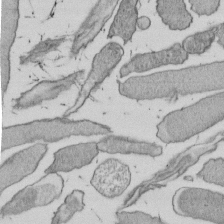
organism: E. coli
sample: Bacterial nucleoid